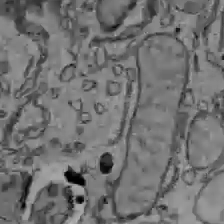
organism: C57BL Mouse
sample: Liver